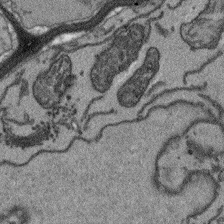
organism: Arabidopsis thaliana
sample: Root tip